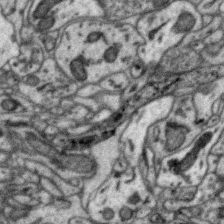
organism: Zebra finch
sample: Brain